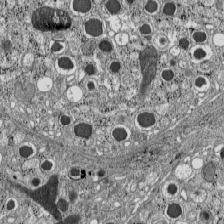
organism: C57BL Mouse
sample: Pancreatic islet